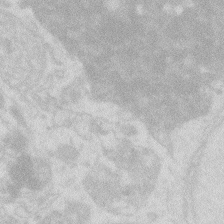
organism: Zebrafish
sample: Macrophage